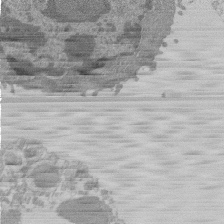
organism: Mouse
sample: Activated Pmel transgenic CD8+ T Cells